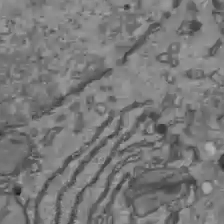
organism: C57BL Mouse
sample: Liver